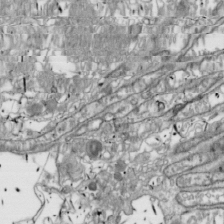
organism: Drosophila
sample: Cell division; meiosis; drosophila spermatocytes